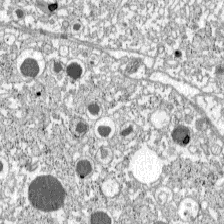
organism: C57BL Mouse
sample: Pancreatic islet